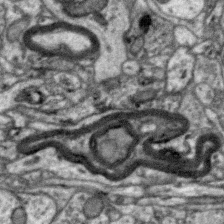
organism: Zebra finch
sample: Brain